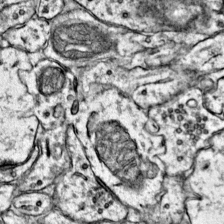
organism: Mouse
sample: Primary visual cortex